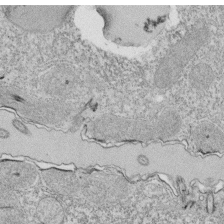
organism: Tetrahymena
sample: Cilia in tetrahymena